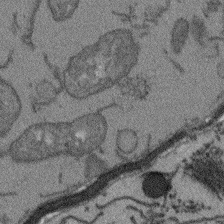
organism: Arabidopsis thaliana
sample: Root tip